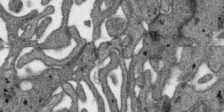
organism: Human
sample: Lung epithelial cells, uninfected (mock) control